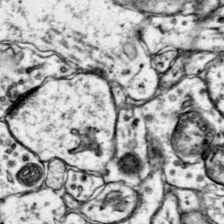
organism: Mouse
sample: Primary visual cortex